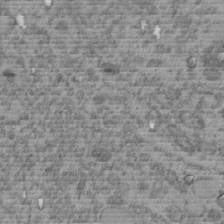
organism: C. elegans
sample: C. elegans embryo early stage